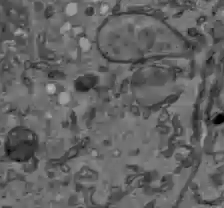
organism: C57BL Mouse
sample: Liver